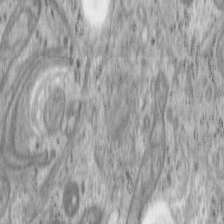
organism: Human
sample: HeLa cells